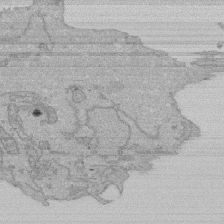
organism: Human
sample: Activated Jurkat CD4+ T cells